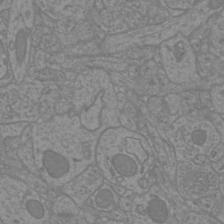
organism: Mouse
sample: Cortical neurons